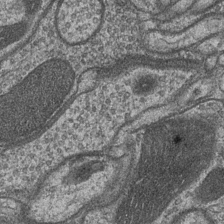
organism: Drosophila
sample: Optic medulla